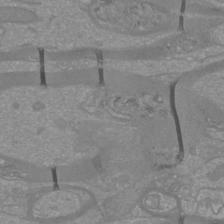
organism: Mouse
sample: Cortical neurons